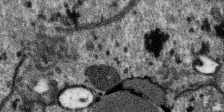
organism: Human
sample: Lung epithelial cells infected with SARS-CoV-2